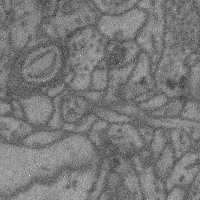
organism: Mouse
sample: Cerebral cortex